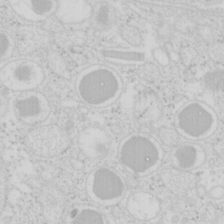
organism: Mouse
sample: Pancreas